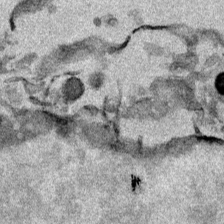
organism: Mouse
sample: Cancer cell death in ED-1 cells